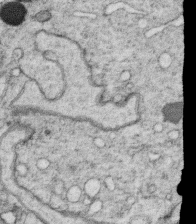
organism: C. elegans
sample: C. elegans oocyte; sperm cells